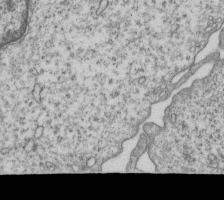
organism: Human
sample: MDA-MB-231 cells